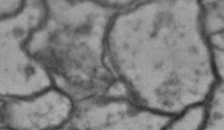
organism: Drosophila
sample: Brain